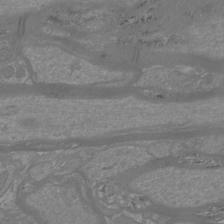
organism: Mouse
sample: Cortical neurons